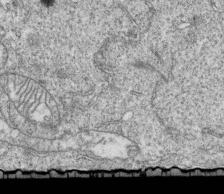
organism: Human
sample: HeLa cell HIV synapse